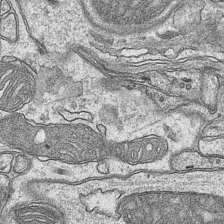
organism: Mouse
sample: CA1 Hippocampus